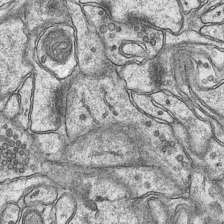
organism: Mouse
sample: CA1 Hippocampus